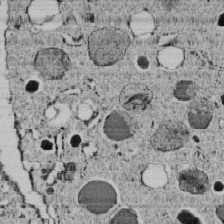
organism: C. elegans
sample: C. elegans embryo early stage